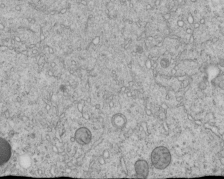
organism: C. elegans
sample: C. elegans embryo early stage